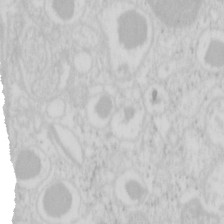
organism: Mouse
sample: Pancreas